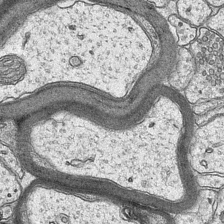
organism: Mouse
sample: CA1 Hippocampus